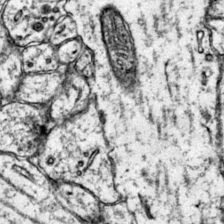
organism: Mouse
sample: Primary visual cortex